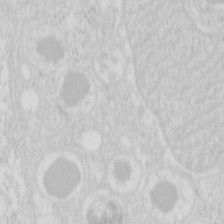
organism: Mouse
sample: Pancreas